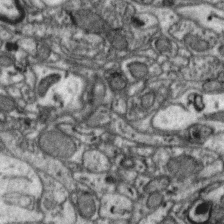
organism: Zebra finch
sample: Brain